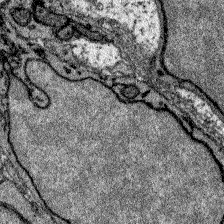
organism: Zebrafish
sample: Larval olfactory bulb